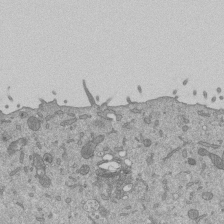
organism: Mouse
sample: ED-1 cell nuclei; centrioles